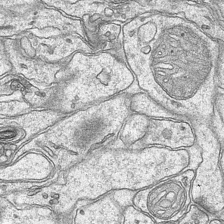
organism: Mouse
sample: CA1 Hippocampus